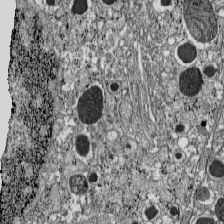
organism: C57BL Mouse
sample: Pancreatic islet